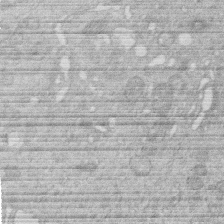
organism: Human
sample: Macrophage cells